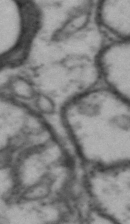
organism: Drosophila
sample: Brain